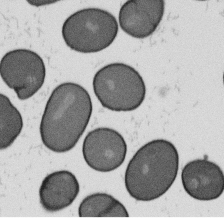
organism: B. subtilis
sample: Bacterial spore